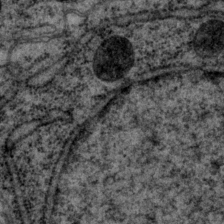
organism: P. pacificus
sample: Pharynx